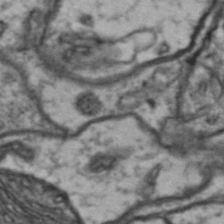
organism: Drosophila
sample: Brain